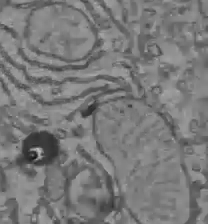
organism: C57BL Mouse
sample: Liver